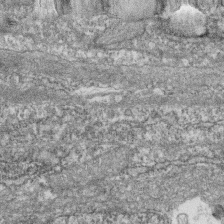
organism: Zebrafish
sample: Cilia; retinal pigment epithelium